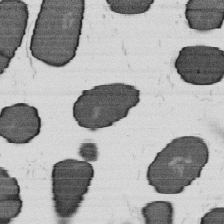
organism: B. subtilis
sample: Bacterial spore